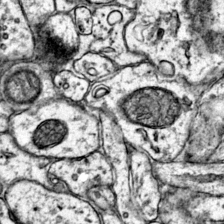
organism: Mouse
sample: Primary visual cortex